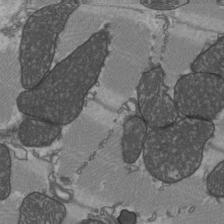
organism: C57BL Mouse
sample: Heart